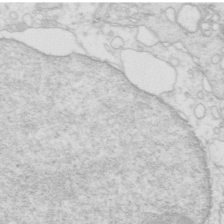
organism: Mouse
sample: Multiciliated cells